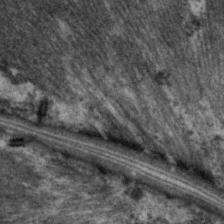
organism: C. elegans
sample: Pharynx